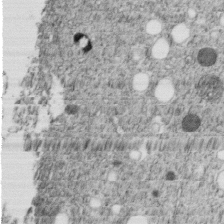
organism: C. elegans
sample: C. elegans embryo early stage